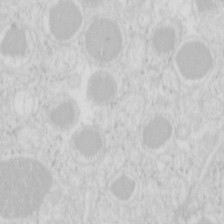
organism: Mouse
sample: Pancreas